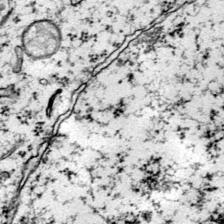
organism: Mouse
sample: Primary visual cortex